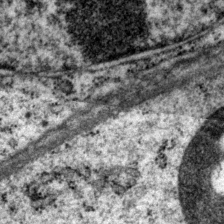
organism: P. pacificus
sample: Pharynx